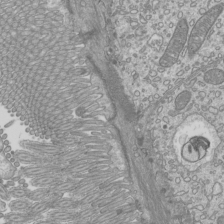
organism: Mouse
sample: Cilia; mouse epididymis